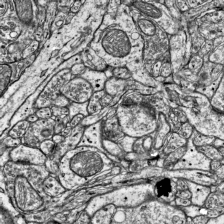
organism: Mouse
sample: Visual Cortex